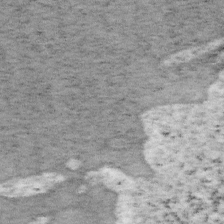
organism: Mouse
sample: OT-I killer T cells with ID8 ovarian cancer cells